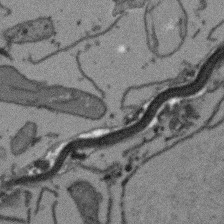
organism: Arabidopsis thaliana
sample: Root tip